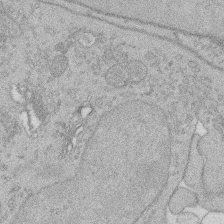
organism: Rat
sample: Salivary granule